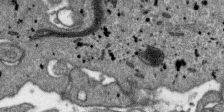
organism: Human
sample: Lung epithelial cells, uninfected (mock) control